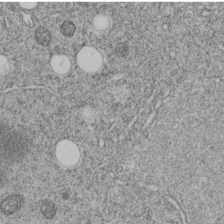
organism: C. elegans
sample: C. elegans embryo early stage